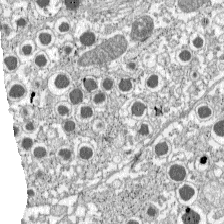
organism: C57BL Mouse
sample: Pancreatic islet